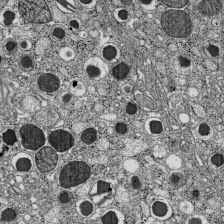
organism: C57BL Mouse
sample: Pancreatic islet